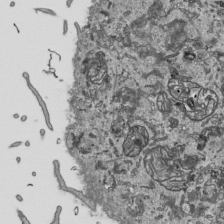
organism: Human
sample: Mitochondria in HCT116 cells